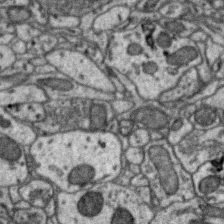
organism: Zebra finch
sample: Brain